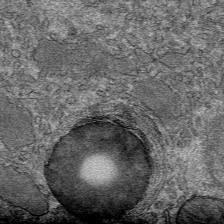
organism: Mouse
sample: Mouse hepatocytes